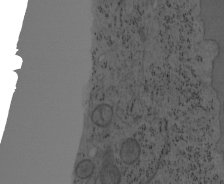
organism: Mouse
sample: OT-I killer T cells with ID8 ovarian cancer cells